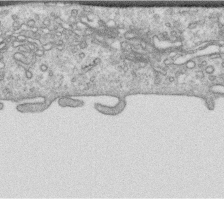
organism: Human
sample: Centriole in RPE cells